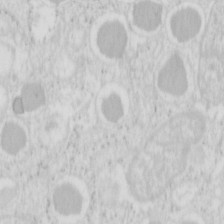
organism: Mouse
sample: Pancreas